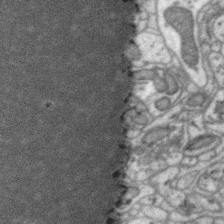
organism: Zebra finch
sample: Brain